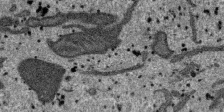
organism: Human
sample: Lung epithelial cells, uninfected (mock) control